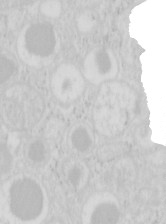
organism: Mouse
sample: Pancreas